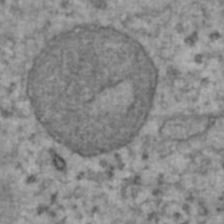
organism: Human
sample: Blood